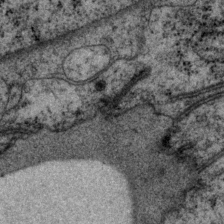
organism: P. pacificus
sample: Pharynx